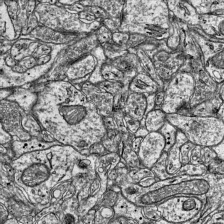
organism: Mouse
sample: Visual Cortex